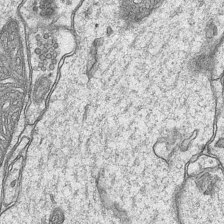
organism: Mouse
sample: CA1 Hippocampus